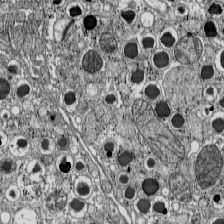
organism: C57BL Mouse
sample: Pancreatic islet